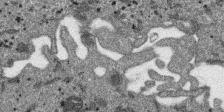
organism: Human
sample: Lung epithelial cells infected with SARS-CoV-2